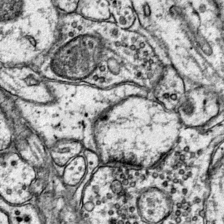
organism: Mouse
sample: Primary visual cortex